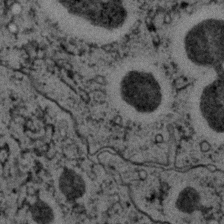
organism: C. elegans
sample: C. elegans embryo